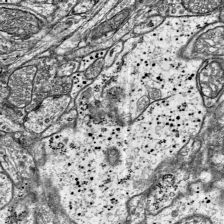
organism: Mouse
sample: Visual Cortex